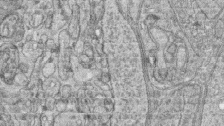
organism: Zebrafish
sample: synaptic ribbons in rod cells and cone cells